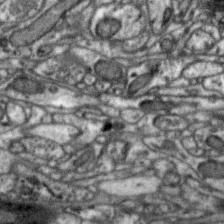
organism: Zebra finch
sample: Brain